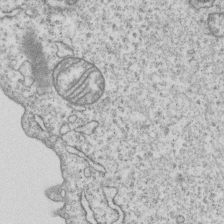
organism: Human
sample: MDA-MB-231 cells